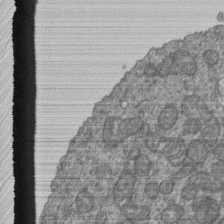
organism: Human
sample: Retinal organoid Rod and Cone cells